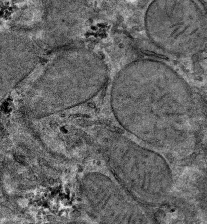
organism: Mouse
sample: Mouse hepatocytes